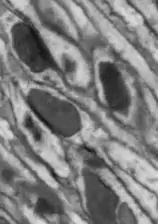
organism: Drosophila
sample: Optic lobe